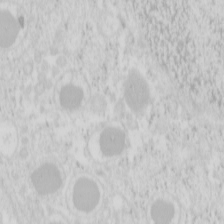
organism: Mouse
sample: Pancreas